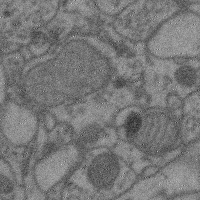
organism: Mouse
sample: Cerebral cortex